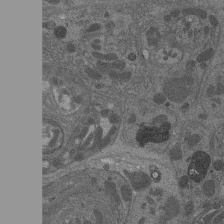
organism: Drosophila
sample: Antenna